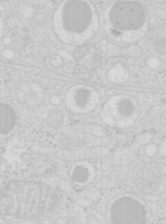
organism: Mouse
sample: Pancreas